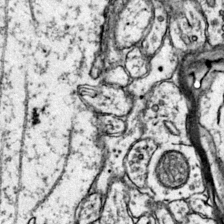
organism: Mouse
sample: Primary visual cortex